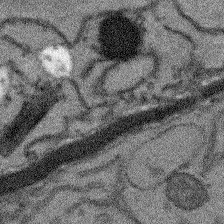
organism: Arabidopsis thaliana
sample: Root tip